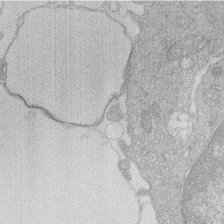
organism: Human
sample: Macrophage cells